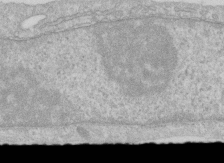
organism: Human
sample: Centriole in RPE cells